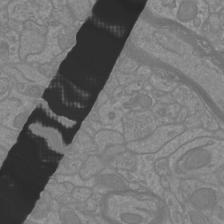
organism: Mouse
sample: Cortical neurons